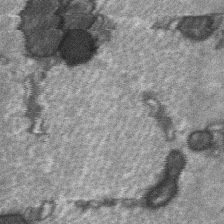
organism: C57BL Mouse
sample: Soleus